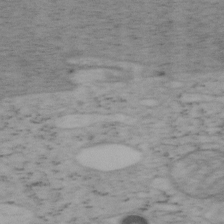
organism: Mouse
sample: OT-I killer T cells with ID8 ovarian cancer cells